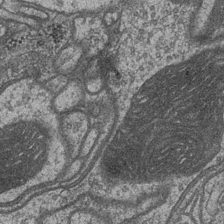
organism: Drosophila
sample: Optic medulla